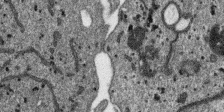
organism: Human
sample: Lung epithelial cells infected with SARS-CoV-2